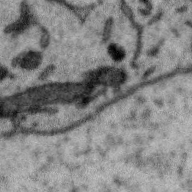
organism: Zebra finch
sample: Brain